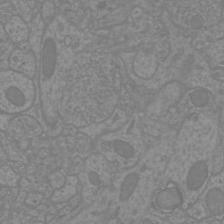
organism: Mouse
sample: Cortical neurons